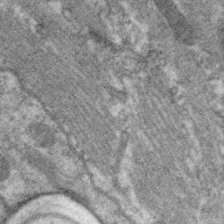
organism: C. elegans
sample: Pharynx